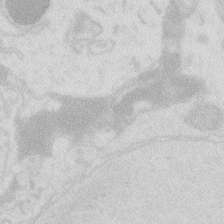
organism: Zebrafish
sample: Macrophage